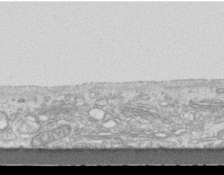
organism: Mouse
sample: Centriole in ependymal cells